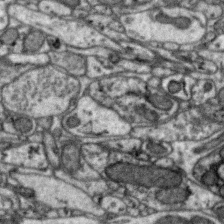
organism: Zebra finch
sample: Brain